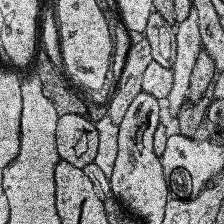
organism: Human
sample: Temporal Lobe